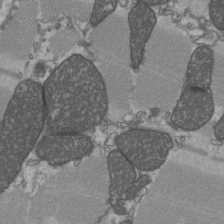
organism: C57BL Mouse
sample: Heart